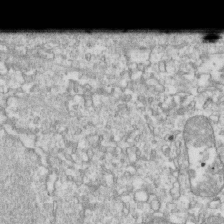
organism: Mouse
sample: Activated OT-1 CD8+ T cells